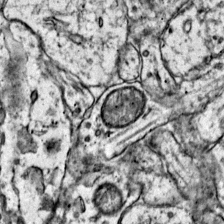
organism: Mouse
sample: Primary visual cortex